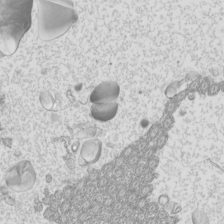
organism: Mouse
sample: Cilia; mouse epididymis